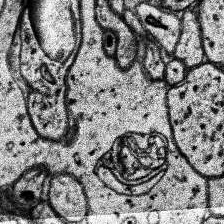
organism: Human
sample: Temporal Lobe